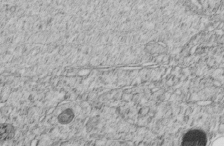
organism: C. elegans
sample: C. elegans embryo early stage